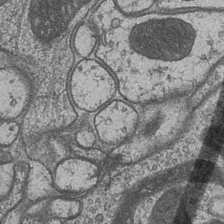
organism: Drosophila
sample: Optic medulla